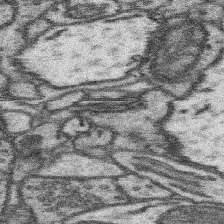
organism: Mouse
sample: Somatosensory cortex neuropil